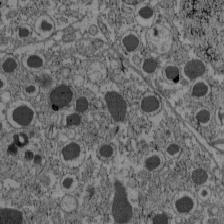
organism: C57BL Mouse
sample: Pancreatic islet